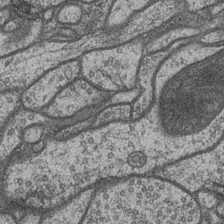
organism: Drosophila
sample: Optic medulla